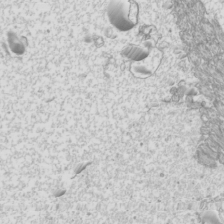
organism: Mouse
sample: Cilia; mouse epididymis